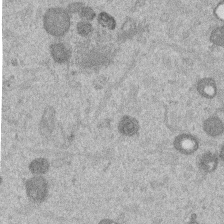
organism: Mouse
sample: Dividing mouse embryo 1 cell stage